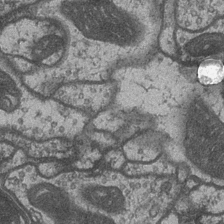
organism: Drosophila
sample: Optic medulla